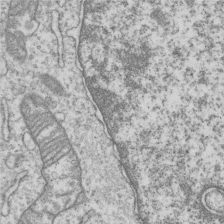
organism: Human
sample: MDA-MB-231 cells